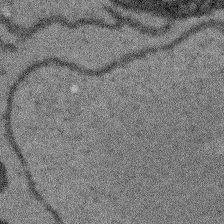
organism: Arabidopsis thaliana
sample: Root tip